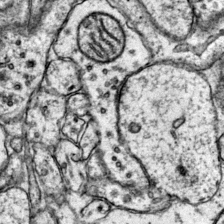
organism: Mouse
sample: Primary visual cortex